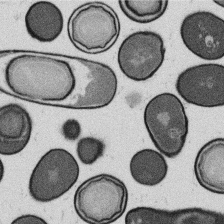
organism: B. subtilis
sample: Bacterial spore